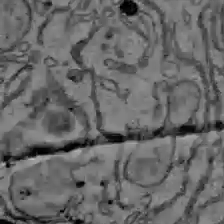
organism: C57BL Mouse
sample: Liver